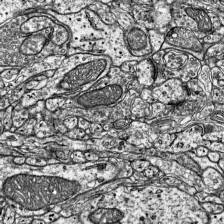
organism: Mouse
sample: Visual Cortex